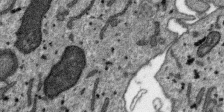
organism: Human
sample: Lung epithelial cells, uninfected (mock) control